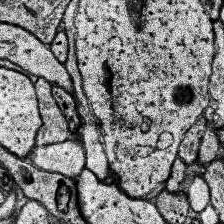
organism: Human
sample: Temporal Lobe